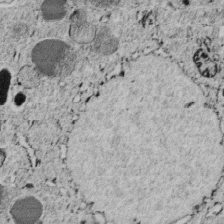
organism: C. elegans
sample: C. elegans embryo early stage